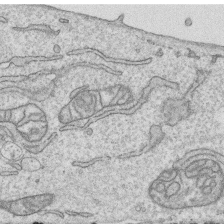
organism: Human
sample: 1205lu cells